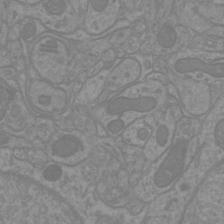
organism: Mouse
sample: Cortical neurons